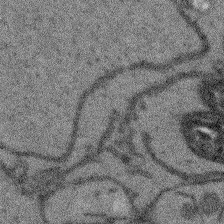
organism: Arabidopsis thaliana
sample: Root tip